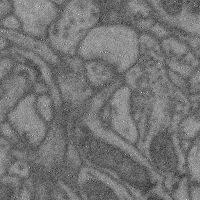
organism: Mouse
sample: Cerebral cortex